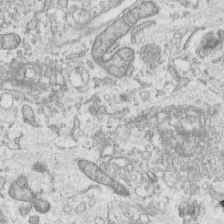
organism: Human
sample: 1205lu cells